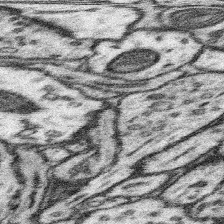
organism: Mouse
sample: Somatosensory cortex neuropil